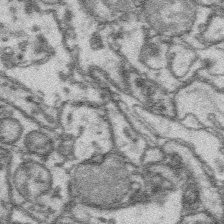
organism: Platynereis dumerilii